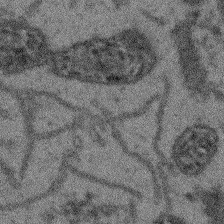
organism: Arabidopsis thaliana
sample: Root tip